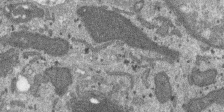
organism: Human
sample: Lung epithelial cells infected with SARS-CoV-2